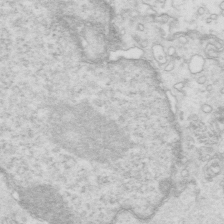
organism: Mouse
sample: Multiciliated cells